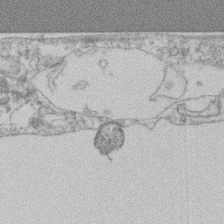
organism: Mouse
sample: T cell stromal cell synapse